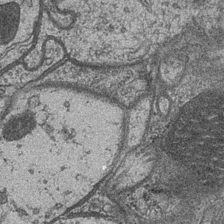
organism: Drosophila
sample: Optic medulla